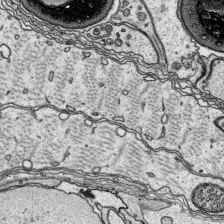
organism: Platynereis dumerilii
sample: Parapodia